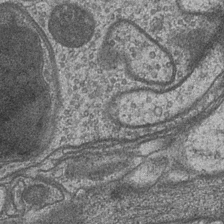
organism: Drosophila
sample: Optic medulla